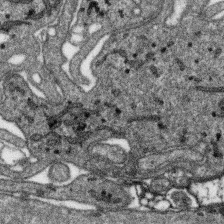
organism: Human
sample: Lung epithelial cells infected with SARS-CoV-2